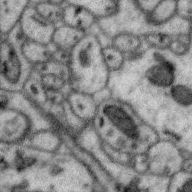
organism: Zebra finch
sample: Brain